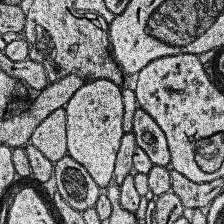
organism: Human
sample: Temporal Lobe